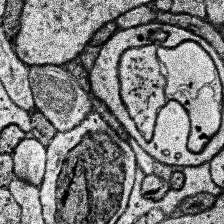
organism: Human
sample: Temporal Lobe